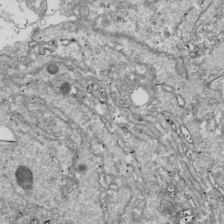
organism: Drosophila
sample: Cell division; meiosis; drosophila spermatocytes